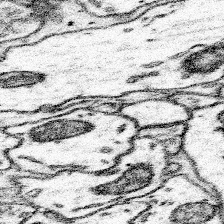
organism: Mouse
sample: Somatosensory cortex neuropil